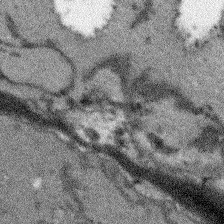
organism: Arabidopsis thaliana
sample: Root tip